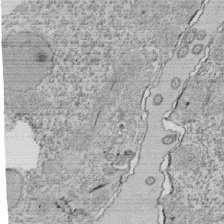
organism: Tetrahymena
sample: Cilia in tetrahymena